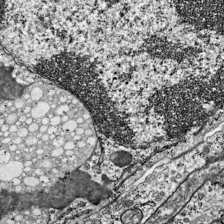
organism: Mouse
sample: Visual Cortex